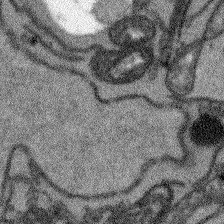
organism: Arabidopsis thaliana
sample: Root tip